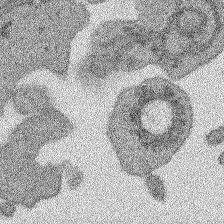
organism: Human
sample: HeLa cells